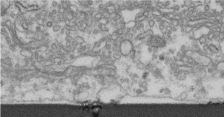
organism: Human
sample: Centriole in fibroblast cells